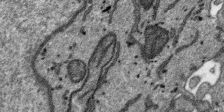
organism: Human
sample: Lung epithelial cells, uninfected (mock) control